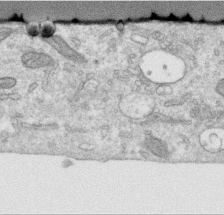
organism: Human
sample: Centriole in RPE cells